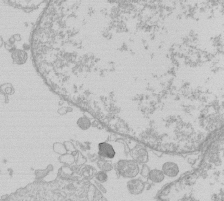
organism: Human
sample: Macrophage cells